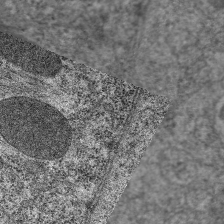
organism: C. elegans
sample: Pharynx